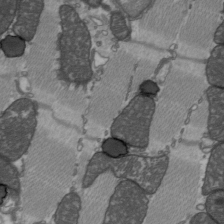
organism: C57BL Mouse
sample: Heart